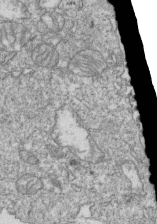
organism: Human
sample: HeLa cell HIV synapse